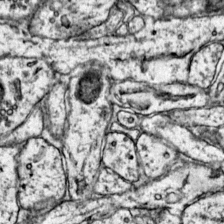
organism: Mouse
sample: Primary visual cortex